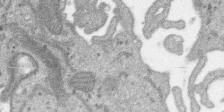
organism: Human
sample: Lung epithelial cells infected with SARS-CoV-2